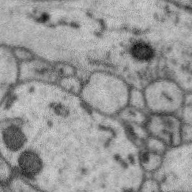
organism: Zebra finch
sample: Brain